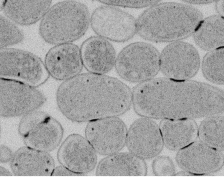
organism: E. coli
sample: Bacterial nucleoid